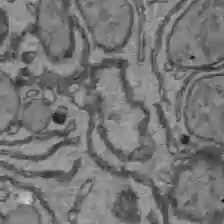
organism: C57BL Mouse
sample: Liver